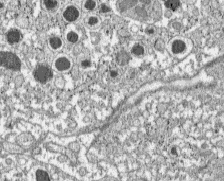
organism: C57BL Mouse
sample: Pancreatic islet